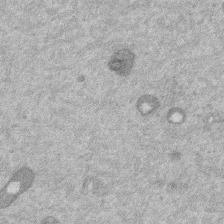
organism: Mouse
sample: Dividing mouse embryo 1 cell stage